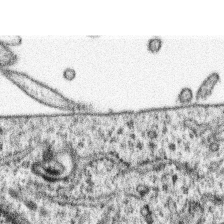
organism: Human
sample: HeLa cells